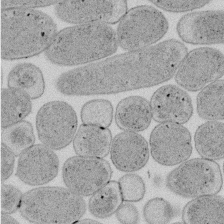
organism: E. coli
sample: Bacterial nucleoid